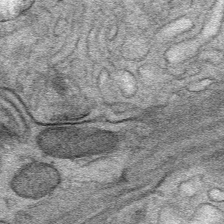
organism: Mouse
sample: Mouse Salivary gland